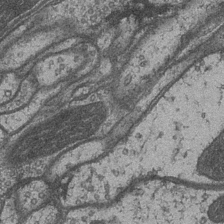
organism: Drosophila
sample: Optic medulla